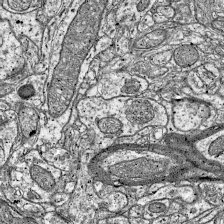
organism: Mouse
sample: Visual Cortex